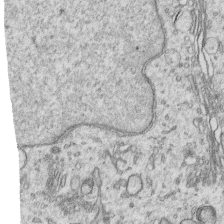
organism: Human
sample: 1205lu cells